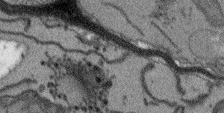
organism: Arabidopsis thaliana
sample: Root tip